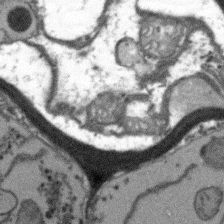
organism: Arabidopsis thaliana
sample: Root tip